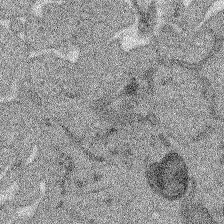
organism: Human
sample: HeLa cells